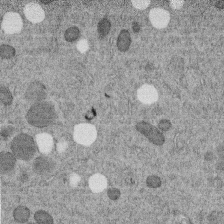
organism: C. elegans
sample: C. elegans embryo early stage